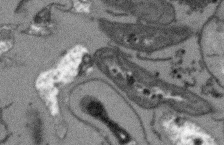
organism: Arabidopsis thaliana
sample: Root tip